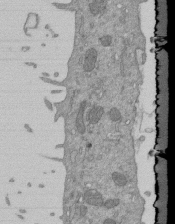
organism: Mouse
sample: ED-1 cell nuclei; centrioles